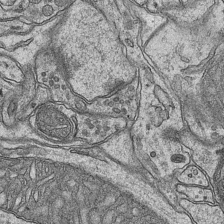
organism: Mouse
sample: CA1 Hippocampus